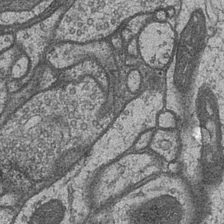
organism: Drosophila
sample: Optic medulla